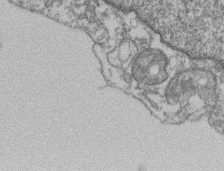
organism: Mouse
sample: T cell stromal cell synapse